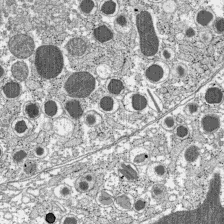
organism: C57BL Mouse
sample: Pancreatic islet